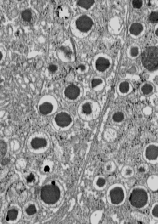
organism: C57BL Mouse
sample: Pancreatic islet